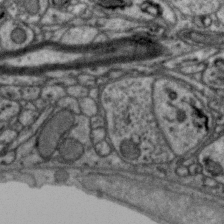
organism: Zebra finch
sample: Brain